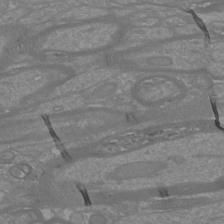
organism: Mouse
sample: Cortical neurons